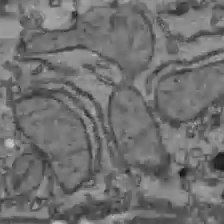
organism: C57BL Mouse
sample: Liver